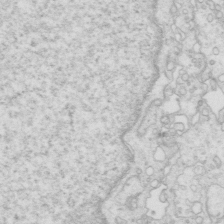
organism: Mouse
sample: Multiciliated cells